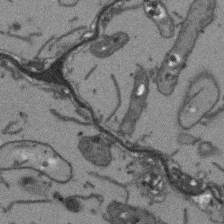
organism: Arabidopsis thaliana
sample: Root tip